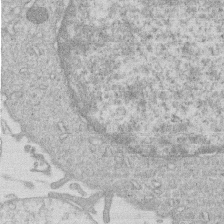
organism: Human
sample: Macrophage cells